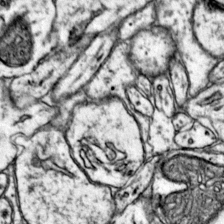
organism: Mouse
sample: Primary visual cortex